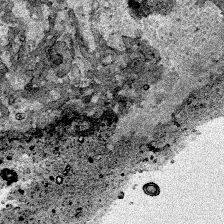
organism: Human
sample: Mitochondria in HCT116 cells